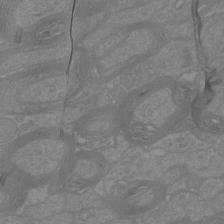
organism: Mouse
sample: Cortical neurons